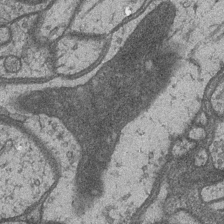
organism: Drosophila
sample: Optic medulla